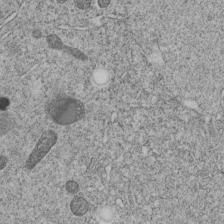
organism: C. elegans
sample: C. elegans embryo early stage